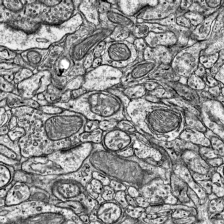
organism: Mouse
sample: Visual Cortex